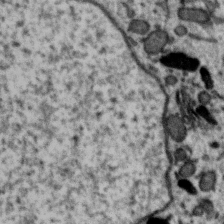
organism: Zebra finch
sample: Brain